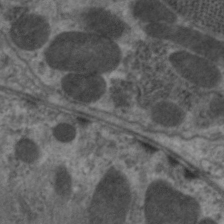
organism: C. elegans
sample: Pharynx